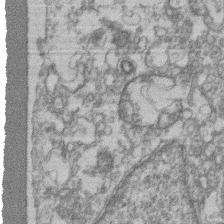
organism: Mouse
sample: T cell stromal cell synapse